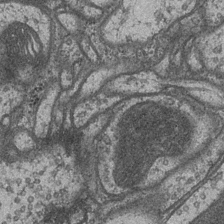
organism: Drosophila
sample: Optic medulla